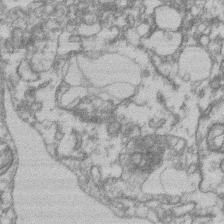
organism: Mouse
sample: T cell stromal cell synapse